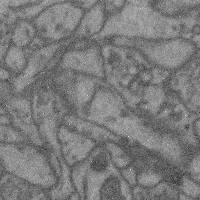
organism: Mouse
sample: Cerebral cortex